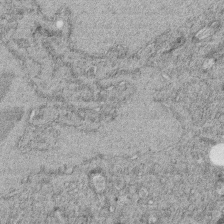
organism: C. elegans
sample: C. elegans embryo early stage